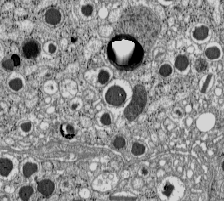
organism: C57BL Mouse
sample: Pancreatic islet